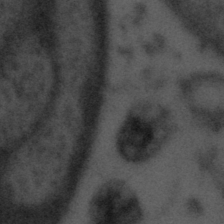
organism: Tuwongella immobilis